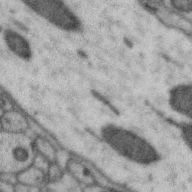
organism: Zebra finch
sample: Brain